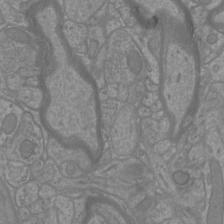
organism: Mouse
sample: Cortical neurons